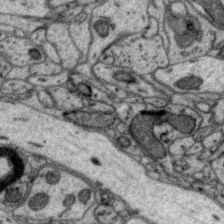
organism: Zebra finch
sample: Brain